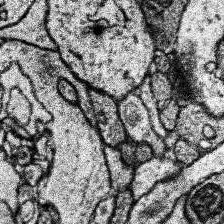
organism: Human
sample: Temporal Lobe